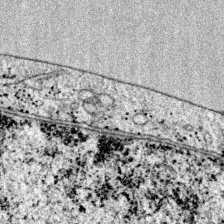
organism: Human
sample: HeLa cells